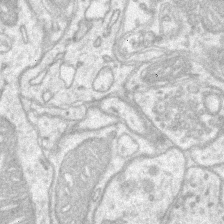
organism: Mouse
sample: CA1 Hippocampus